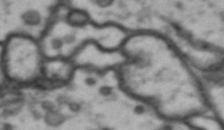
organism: Drosophila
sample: Brain